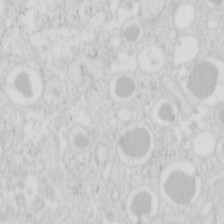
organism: Mouse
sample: Pancreas